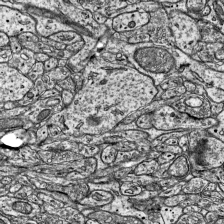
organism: Mouse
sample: Visual Cortex